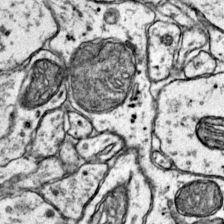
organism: Mouse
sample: Primary visual cortex